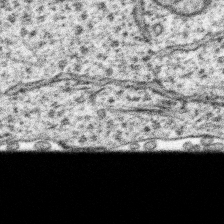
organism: Human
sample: HeLa cells